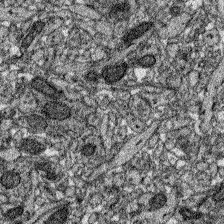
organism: Zebrafish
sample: Larval olfactory bulb